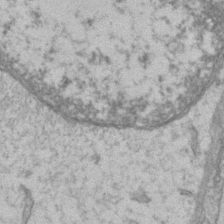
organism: Mouse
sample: CA1 Hippocampus